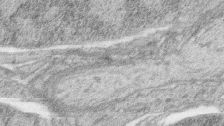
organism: Zebrafish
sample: synaptic ribbons in rod cells and cone cells